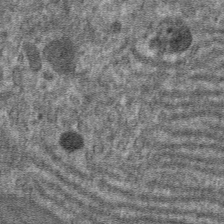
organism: Mouse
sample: Mouse hepatocytes